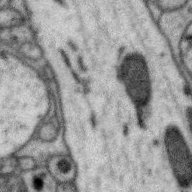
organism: Zebra finch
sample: Brain